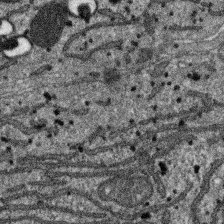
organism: Human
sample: Lung epithelial cells infected with SARS-CoV-2